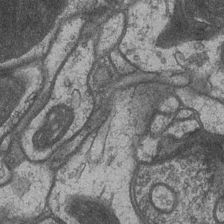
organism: Drosophila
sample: Optic medulla